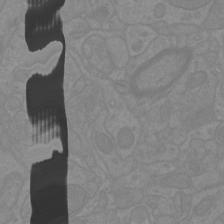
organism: Mouse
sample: Cortical neurons